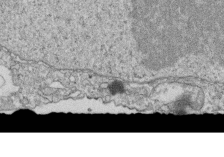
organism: Human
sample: HeLa cell HIV synapse